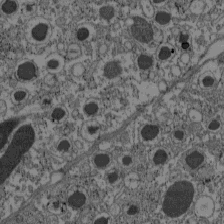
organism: C57BL Mouse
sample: Pancreatic islet